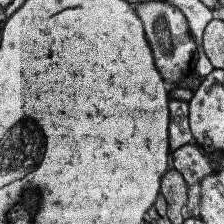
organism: Human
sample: Temporal Lobe